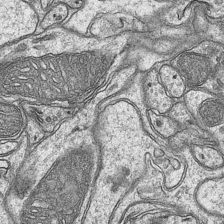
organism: Mouse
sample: CA1 Hippocampus